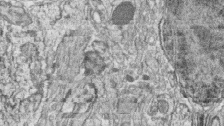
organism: Zebrafish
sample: synaptic ribbons in rod cells and cone cells